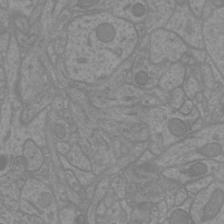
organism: Mouse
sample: Cortical neurons